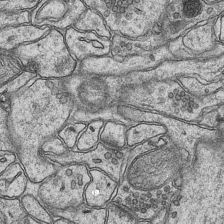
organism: Mouse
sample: CA1 Hippocampus